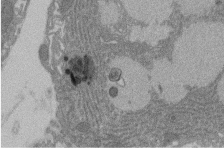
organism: Rat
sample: Salivary granule